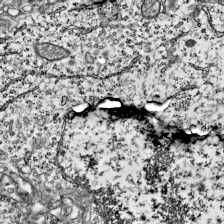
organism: Mouse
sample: Visual Cortex